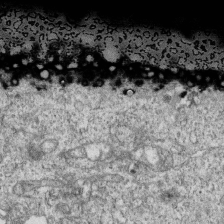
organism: Human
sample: HeLa cell HIV synapse